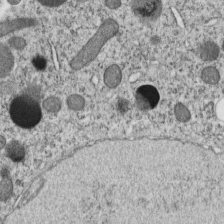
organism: C. elegans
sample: C. elegans embryo early stage